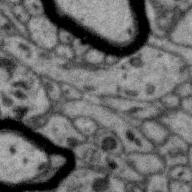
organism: Zebra finch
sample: Brain